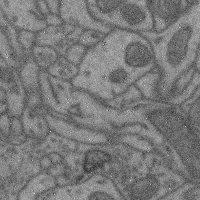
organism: Mouse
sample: Cerebral cortex